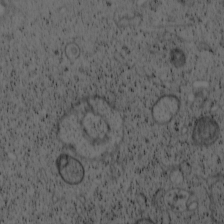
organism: African green monkey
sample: COS-7 cells